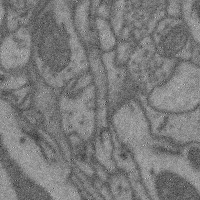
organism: Mouse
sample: Cerebral cortex